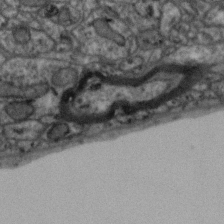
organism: Zebra finch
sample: Brain